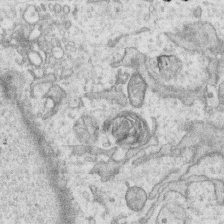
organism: Human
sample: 1205lu cells